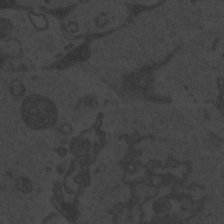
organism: Zebrafish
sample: Macrophage infected with Toxoplasma gondii